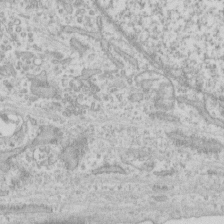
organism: Human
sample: Fibroblast cells